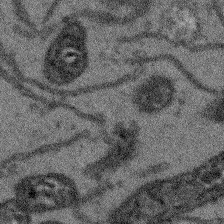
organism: Arabidopsis thaliana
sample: Root tip